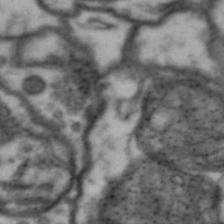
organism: Drosophila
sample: Brain